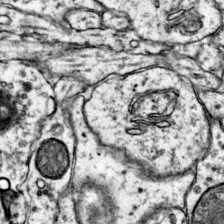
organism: Mouse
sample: Primary visual cortex